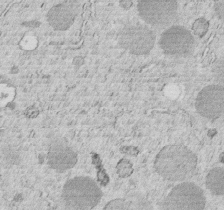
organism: C. elegans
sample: C. elegans embryo early stage